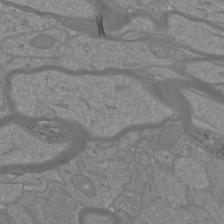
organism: Mouse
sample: Cortical neurons